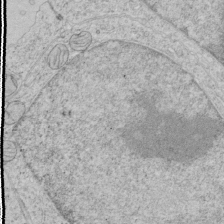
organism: Human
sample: Mitochondria in HCT116 cells